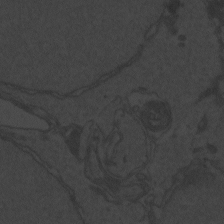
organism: Zebrafish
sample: Macrophage infected with Toxoplasma gondii